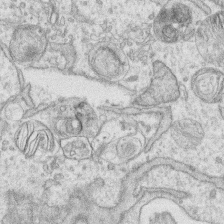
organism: Human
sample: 1205lu cells